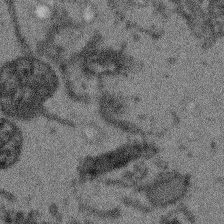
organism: Arabidopsis thaliana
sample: Root tip